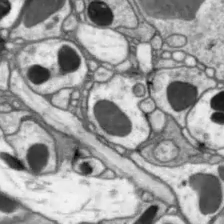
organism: Drosophila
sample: Optic lobe